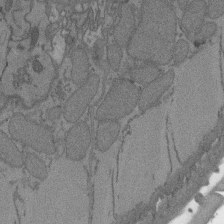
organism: C. elegans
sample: AFD neurons C. elegans